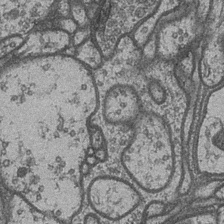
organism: Drosophila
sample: Optic medulla